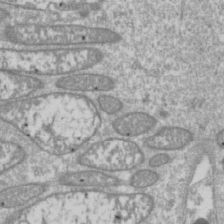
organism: Drosophila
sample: Cell division; meiosis; drosophila spermatocytes